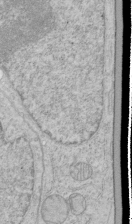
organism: Human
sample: Mitochondria in HCT116 cells